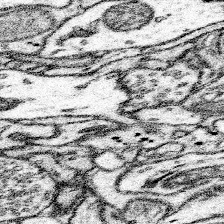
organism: Mouse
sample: Somatosensory cortex neuropil